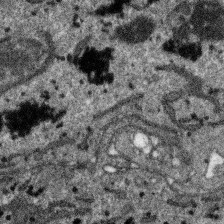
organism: Human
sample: Lung epithelial cells infected with SARS-CoV-2